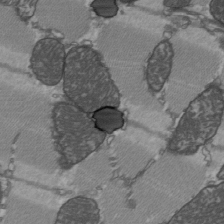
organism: C57BL Mouse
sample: Heart